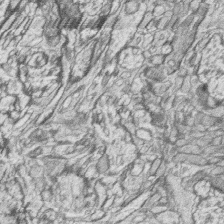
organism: Zebrafish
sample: synaptic ribbons in rod cells and cone cells